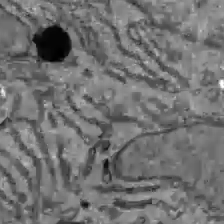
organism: C57BL Mouse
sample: Liver